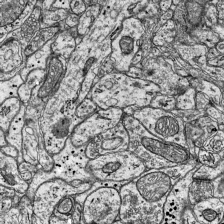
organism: Mouse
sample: Visual Cortex